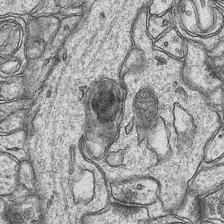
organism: Mouse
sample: CA1 Hippocampus